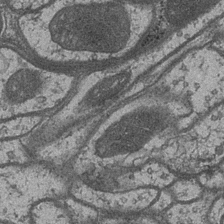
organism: Drosophila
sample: Optic medulla